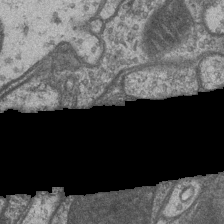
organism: Drosophila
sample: Optic medulla